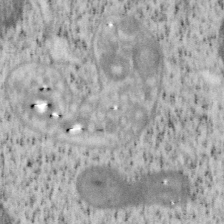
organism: Mouse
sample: OT-I killer T cells with ID8 ovarian cancer cells